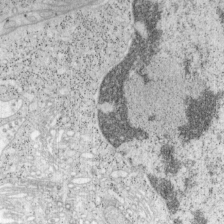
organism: Mouse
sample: OT-I killer T cells with ID8 ovarian cancer cells